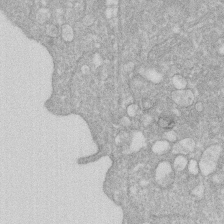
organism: Human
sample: HIV infected U937 cells